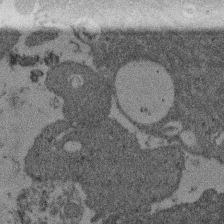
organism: Mouse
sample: Dividing mouse embryo 1 cell stage